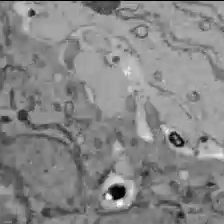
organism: C57BL Mouse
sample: Liver